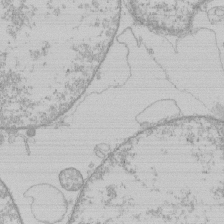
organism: Human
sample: Macrophage cells